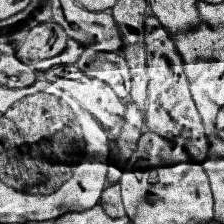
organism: Human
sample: Temporal Lobe